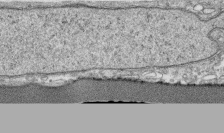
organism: Human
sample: CRL-1474